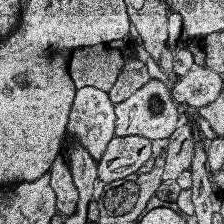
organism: Human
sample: Temporal Lobe